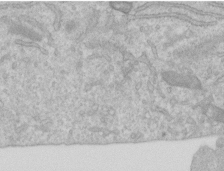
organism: Human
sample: Centriole in RPE cells